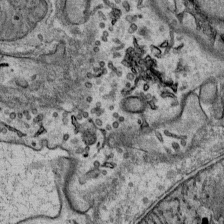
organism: Mouse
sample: Mouse Salivary gland